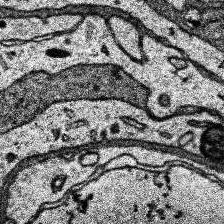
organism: Human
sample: Temporal Lobe